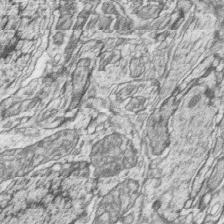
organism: Zebrafish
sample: synaptic ribbons in rod cells and cone cells